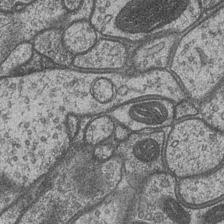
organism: Drosophila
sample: Optic medulla